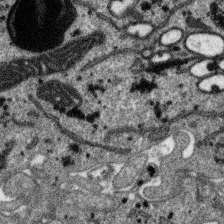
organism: Human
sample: Lung epithelial cells infected with SARS-CoV-2